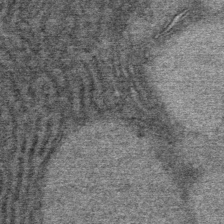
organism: Mouse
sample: Mouse Salivary gland